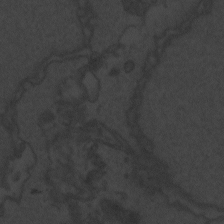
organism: Zebrafish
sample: Macrophage infected with Toxoplasma gondii